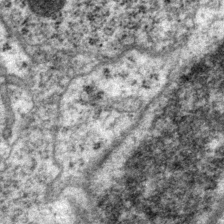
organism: P. pacificus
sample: Pharynx